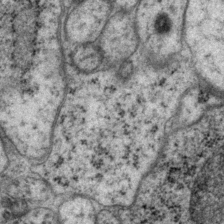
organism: P. pacificus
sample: Pharynx